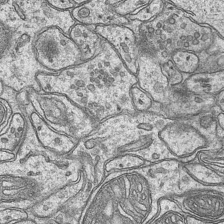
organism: Mouse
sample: CA1 Hippocampus